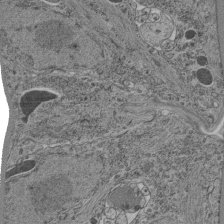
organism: C. elegans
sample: C. elegans pharynx